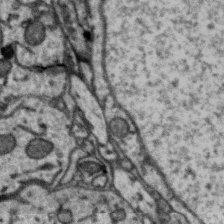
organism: Zebra finch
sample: Brain